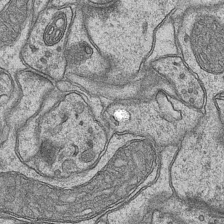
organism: Mouse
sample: CA1 Hippocampus